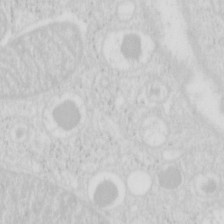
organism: Mouse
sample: Pancreas